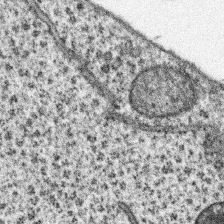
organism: Human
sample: HeLa cells